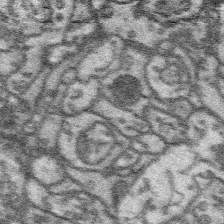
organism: Platynereis dumerilii